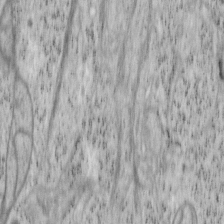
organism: Human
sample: HeLa cells